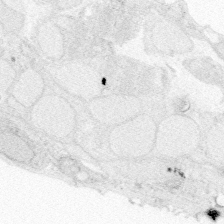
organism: Zebrafish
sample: Whole-Brain